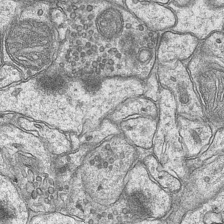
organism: Mouse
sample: CA1 Hippocampus